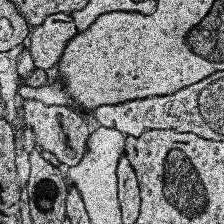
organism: Human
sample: Temporal Lobe